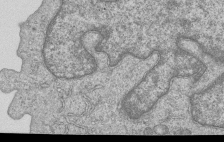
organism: Human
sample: MDA-MB-231 cells